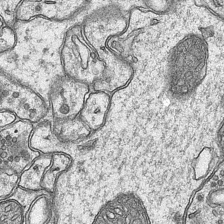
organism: Mouse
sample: CA1 Hippocampus